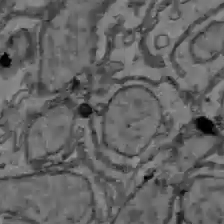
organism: C57BL Mouse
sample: Liver